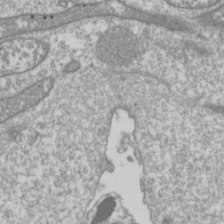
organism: Drosophila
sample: Cell division; meiosis; drosophila spermatocytes